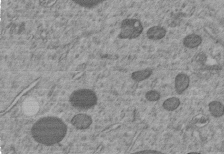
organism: C. elegans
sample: C. elegans embryo early stage